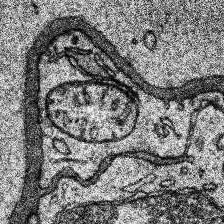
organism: Human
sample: Temporal Lobe